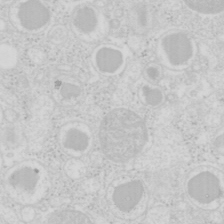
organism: Mouse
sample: Pancreas